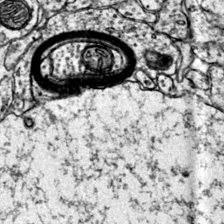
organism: Mouse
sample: Primary visual cortex